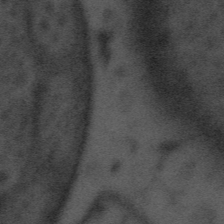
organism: Tuwongella immobilis